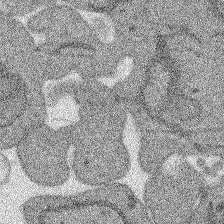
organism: Human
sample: HeLa cells